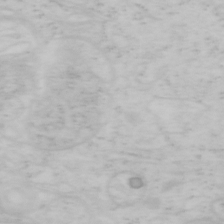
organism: Mouse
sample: OT-I killer T cells with ID8 ovarian cancer cells